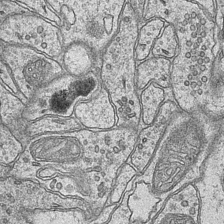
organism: Mouse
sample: CA1 Hippocampus